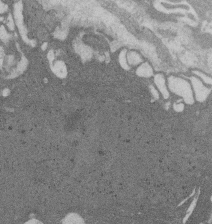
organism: Rat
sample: Salivary granule